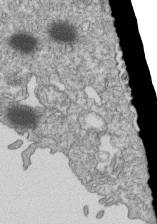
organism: Human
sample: HeLa cell HIV synapse